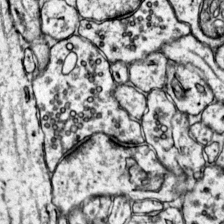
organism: Mouse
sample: Primary visual cortex